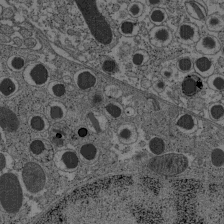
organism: C57BL Mouse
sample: Pancreatic islet